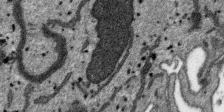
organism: Human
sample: Lung epithelial cells, uninfected (mock) control